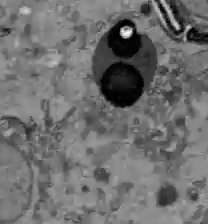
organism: C57BL Mouse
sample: Liver